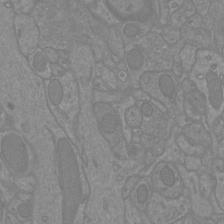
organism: Mouse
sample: Cortical neurons